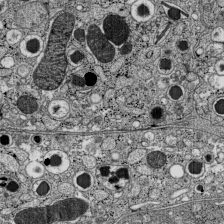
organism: C57BL Mouse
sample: Pancreatic islet